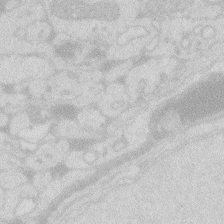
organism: Zebrafish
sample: Macrophage